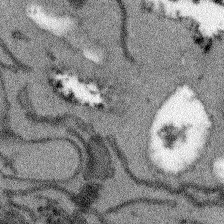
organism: Arabidopsis thaliana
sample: Root tip